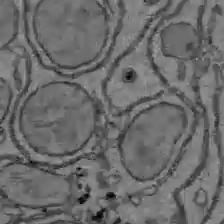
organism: C57BL Mouse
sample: Liver